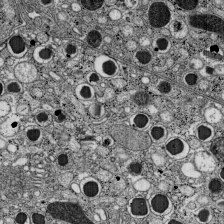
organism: C57BL Mouse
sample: Pancreatic islet